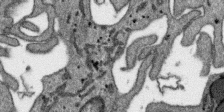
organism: Human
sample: Lung epithelial cells, uninfected (mock) control